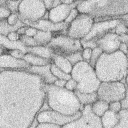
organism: Rabbit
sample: Retina